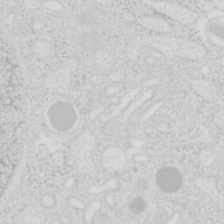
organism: Mouse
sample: Pancreas